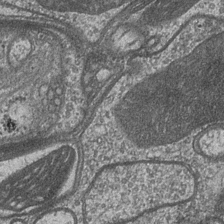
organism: Drosophila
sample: Optic medulla